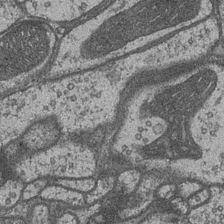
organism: Drosophila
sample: Optic medulla